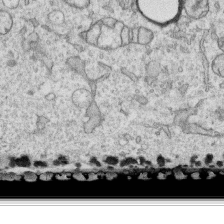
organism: Human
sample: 1205lu cells